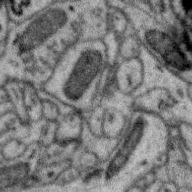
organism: Zebra finch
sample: Brain